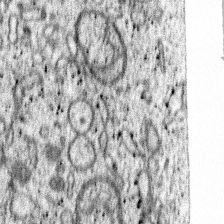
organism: Human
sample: HeLa cells